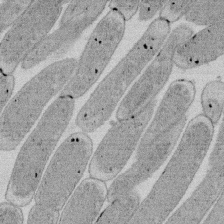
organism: E. coli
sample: Bacterial nucleoid